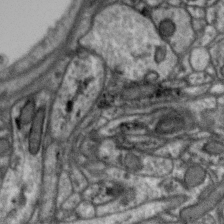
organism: Zebra finch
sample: Brain